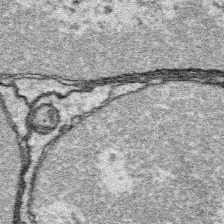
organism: Platynereis dumerilii